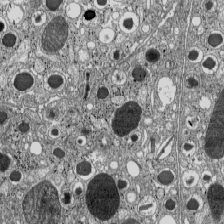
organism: C57BL Mouse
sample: Pancreatic islet